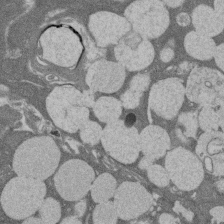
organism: Rat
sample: Salivary granule